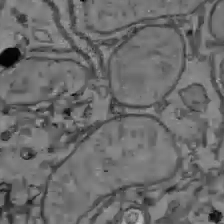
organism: C57BL Mouse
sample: Liver